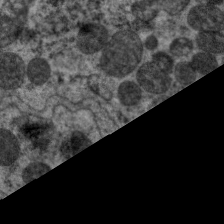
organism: C. elegans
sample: Pharynx